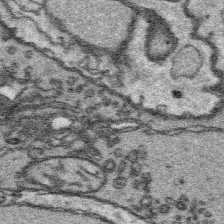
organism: Platynereis dumerilii